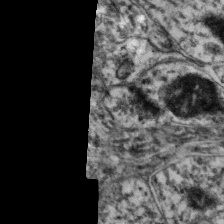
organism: Mouse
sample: Neocortex